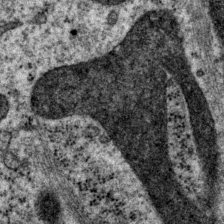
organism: P. pacificus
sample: Pharynx